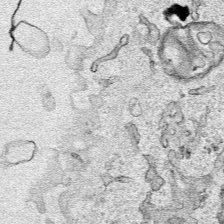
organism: Human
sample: Mitochondria in HCT116 cells